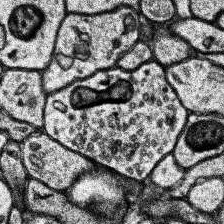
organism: Human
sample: Temporal Lobe